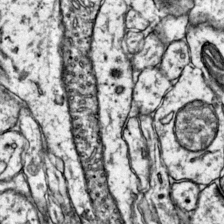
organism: Mouse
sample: Primary visual cortex